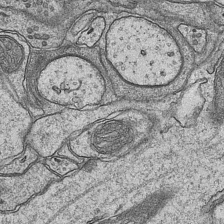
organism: Mouse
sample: CA1 Hippocampus